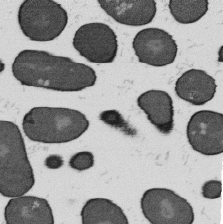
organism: B. subtilis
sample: Bacterial spore